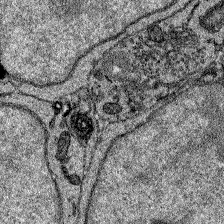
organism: Zebrafish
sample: Larval olfactory bulb